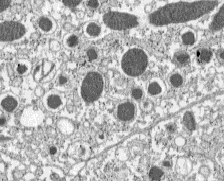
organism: C57BL Mouse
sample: Pancreatic islet